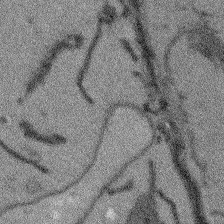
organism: Arabidopsis thaliana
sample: Root tip